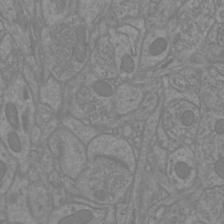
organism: Mouse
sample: Cortical neurons